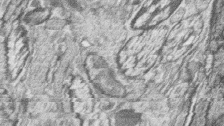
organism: Zebrafish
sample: synaptic ribbons in rod cells and cone cells